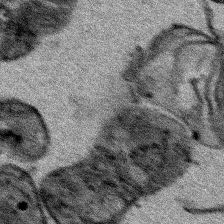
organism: Human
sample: Mitochondria in HCT116 cells